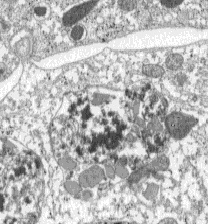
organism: C57BL Mouse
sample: Pancreatic islet